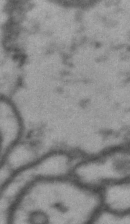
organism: Drosophila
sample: Brain